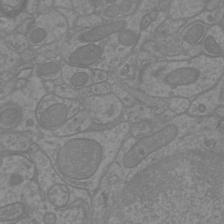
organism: Mouse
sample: Cortical neurons